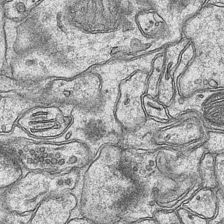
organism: Mouse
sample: CA1 Hippocampus